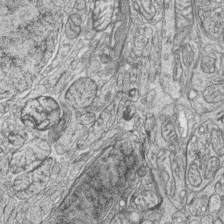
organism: Zebrafish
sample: synaptic ribbons in rod cells and cone cells